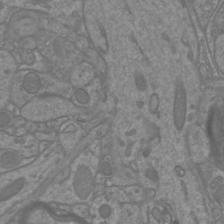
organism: Mouse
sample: Cortical neurons